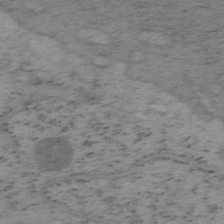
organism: Mouse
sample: OT-I killer T cells with ID8 ovarian cancer cells